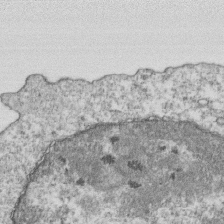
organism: Mouse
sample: Activated OT-1 CD8+ T cells